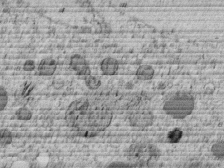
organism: C. elegans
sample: C. elegans embryo early stage